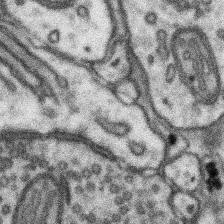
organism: Mouse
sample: Somatosensory cortex neuropil